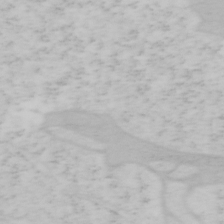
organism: Mouse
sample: OT-I killer T cells with ID8 ovarian cancer cells